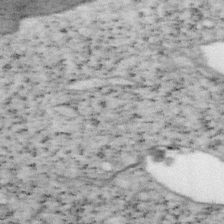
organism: Mouse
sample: OT-I killer T cells with ID8 ovarian cancer cells